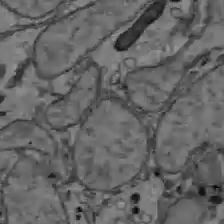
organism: C57BL Mouse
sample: Liver